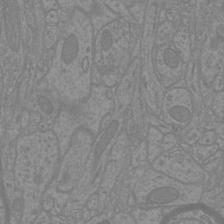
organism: Mouse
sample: Cortical neurons